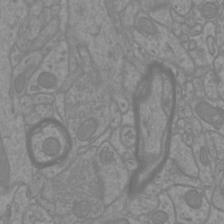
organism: Mouse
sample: Cortical neurons